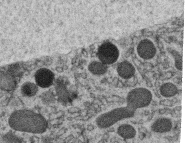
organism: C. elegans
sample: C. elegans oocyte; sperm cells